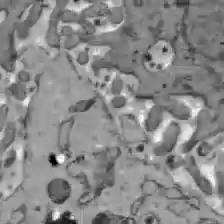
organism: C57BL Mouse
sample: Liver